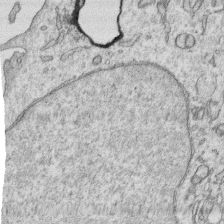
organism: Human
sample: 1205lu cells